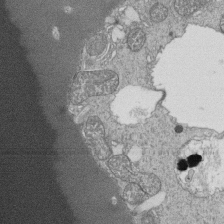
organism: Tetrahymena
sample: Cilia in tetrahymena